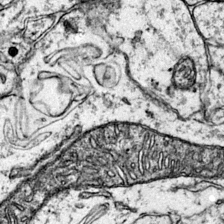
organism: Mouse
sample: Primary visual cortex